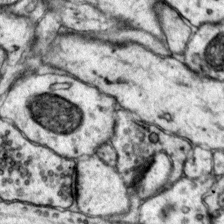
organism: Mouse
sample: Primary visual cortex